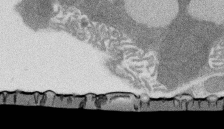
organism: Rat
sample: Salivary granule